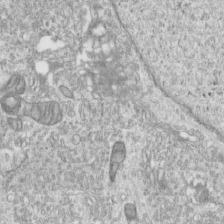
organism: Human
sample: Centriole in RPE cells